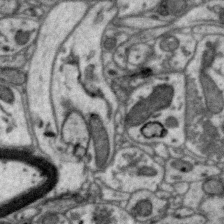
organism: Zebra finch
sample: Brain